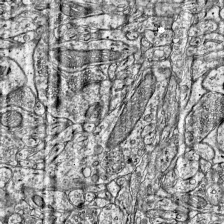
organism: Mouse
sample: Visual Cortex